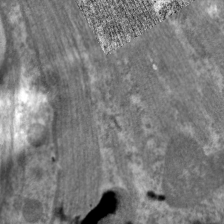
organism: C. elegans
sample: Pharynx